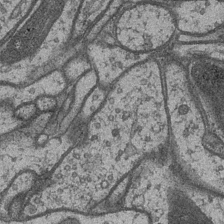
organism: Drosophila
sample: Optic medulla